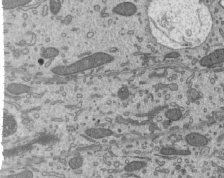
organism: Mouse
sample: Mouse epididymis efferent ductule cilia